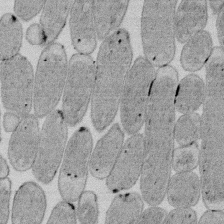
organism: E. coli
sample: Bacterial nucleoid